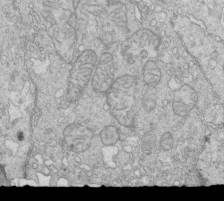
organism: Mouse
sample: Multiciliated cells